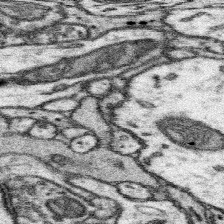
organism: Mouse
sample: Somatosensory cortex neuropil